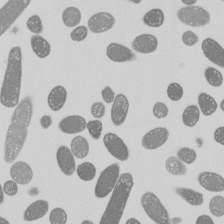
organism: E. coli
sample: Bacterial nucleoid